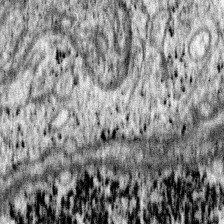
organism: Human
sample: HeLa cells